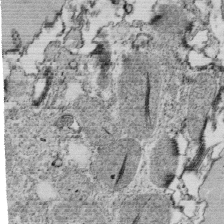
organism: Tetrahymena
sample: Cilia in tetrahymena